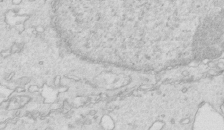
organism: Mouse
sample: Multiciliated cells